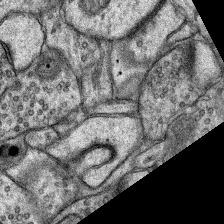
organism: Rat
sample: Hippocampus